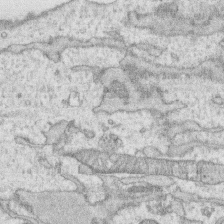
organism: Human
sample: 1205lu cells